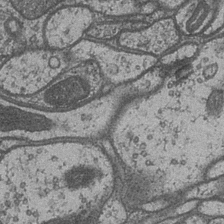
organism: Drosophila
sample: Optic medulla